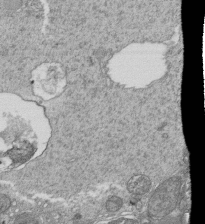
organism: Tetrahymena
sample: Cilia in tetrahymena